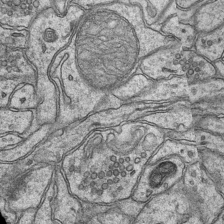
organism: Mouse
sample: CA1 Hippocampus